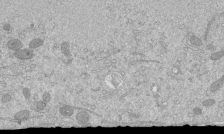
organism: Mouse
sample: ED-1 cell nuclei; centrioles